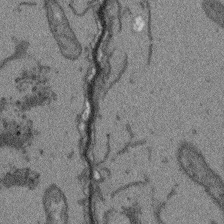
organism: Arabidopsis thaliana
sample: Root tip